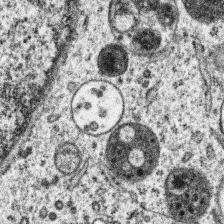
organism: Human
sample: HeLa cells